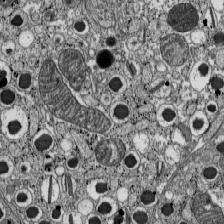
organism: C57BL Mouse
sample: Pancreatic islet